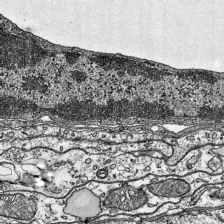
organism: Mouse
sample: Visual Cortex